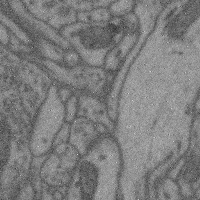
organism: Mouse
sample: Cerebral cortex